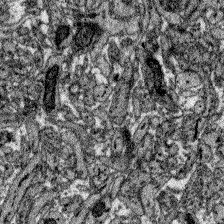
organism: Zebrafish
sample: Larval olfactory bulb